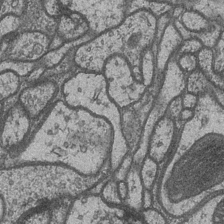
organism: Drosophila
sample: Optic medulla